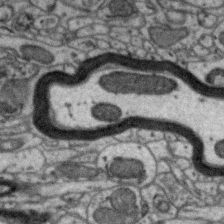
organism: Zebra finch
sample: Brain